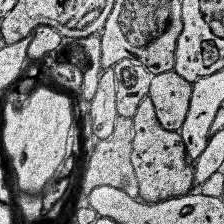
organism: Human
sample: Temporal Lobe